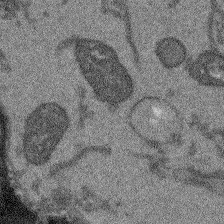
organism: Arabidopsis thaliana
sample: Root tip